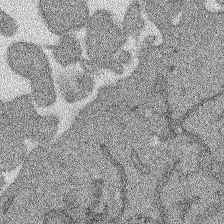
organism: Human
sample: HeLa cells